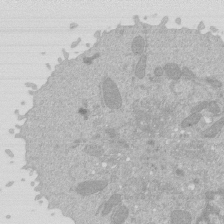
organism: Mouse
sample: Activated Pmel transgenic CD8+ T Cells